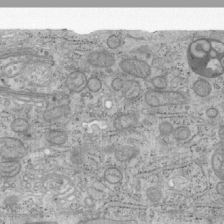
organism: Human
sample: HeLa cells